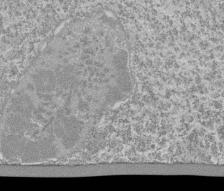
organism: Tetrahymena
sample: Cilia in tetrahymena